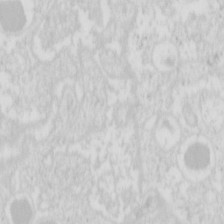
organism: Mouse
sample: Pancreas